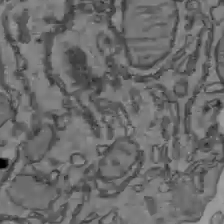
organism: C57BL Mouse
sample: Liver